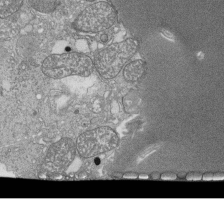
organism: Tetrahymena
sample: Cilia in tetrahymena